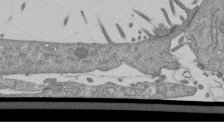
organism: Mouse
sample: ED-1 cell nuclei; centrioles